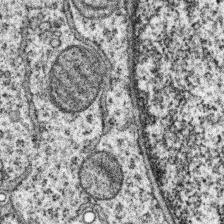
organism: Human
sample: HeLa cells